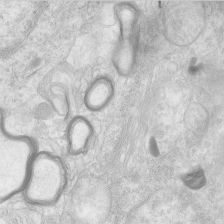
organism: Human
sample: Neocortex